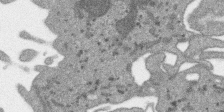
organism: Human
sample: Lung epithelial cells infected with SARS-CoV-2